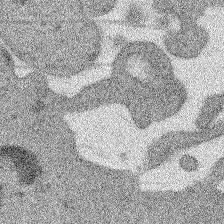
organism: Human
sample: HeLa cells